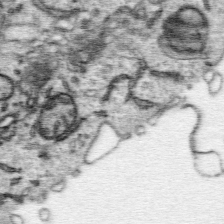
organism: Human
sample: HeLa cells